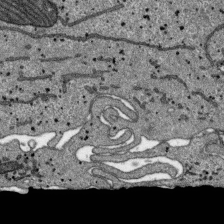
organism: Human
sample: Lung epithelial cells, uninfected (mock) control